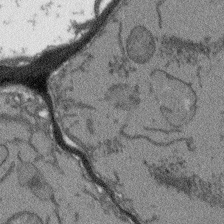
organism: Arabidopsis thaliana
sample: Root tip